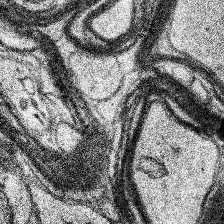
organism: Human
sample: Temporal Lobe